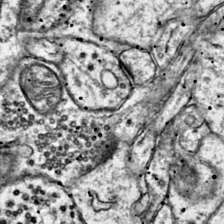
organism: Mouse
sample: Primary visual cortex